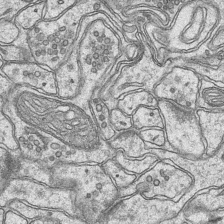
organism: Mouse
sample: CA1 Hippocampus